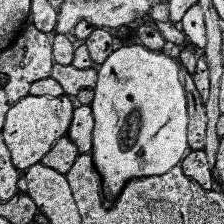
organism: Human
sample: Temporal Lobe